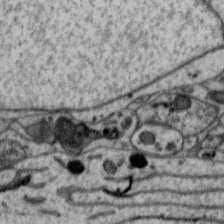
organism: Zebra finch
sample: Brain